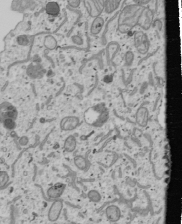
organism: Human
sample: Mitochondria in U2OS cells